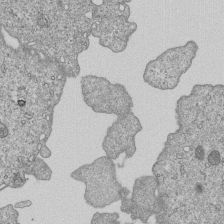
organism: Human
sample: MDA-MB-231 cells